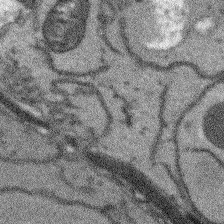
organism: Arabidopsis thaliana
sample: Root tip